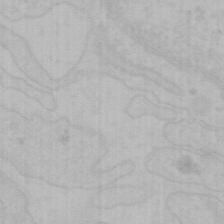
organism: Mouse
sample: Choroid plexus